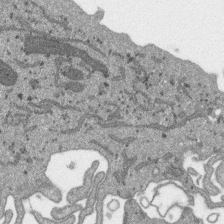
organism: Human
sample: Lung epithelial cells infected with SARS-CoV-2